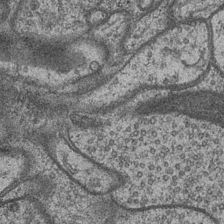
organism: Drosophila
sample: Optic medulla